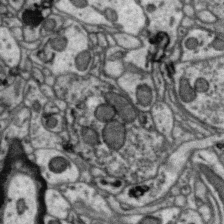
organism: Zebra finch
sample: Brain